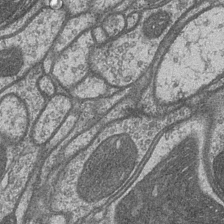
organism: Drosophila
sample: Optic medulla